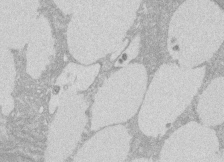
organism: Rat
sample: Salivary granule